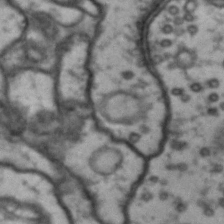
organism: Drosophila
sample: Brain